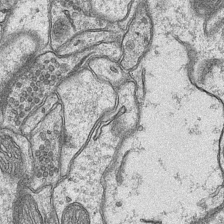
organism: Mouse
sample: CA1 Hippocampus